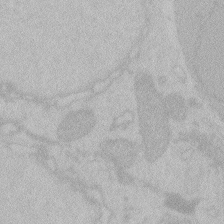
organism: Zebrafish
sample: Macrophage infected with Toxoplasma gondii